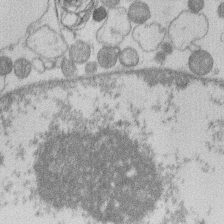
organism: Human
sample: Macrophage cells